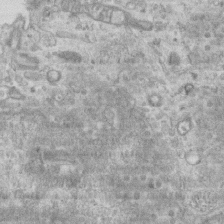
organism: Mouse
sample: Centriole in ependymal cells